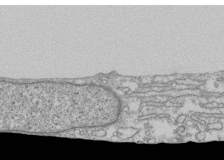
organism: Human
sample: Fibroblast cells